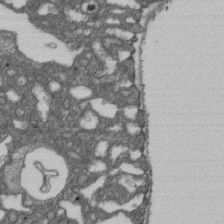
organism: Drosophila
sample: Nephrocyte